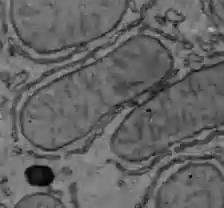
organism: C57BL Mouse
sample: Liver